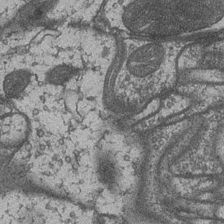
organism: Drosophila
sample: Optic medulla